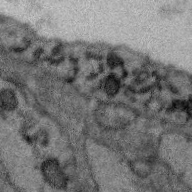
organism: Zebra finch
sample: Brain